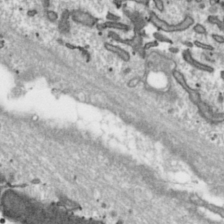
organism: Toxoplasma gondii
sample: Parasites in a vacuole inside a host cell